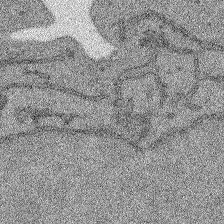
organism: Human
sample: HeLa cells